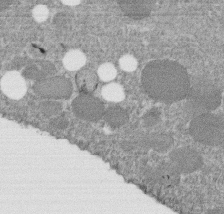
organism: C. elegans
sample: C. elegans embryo early stage